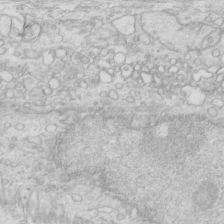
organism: Mouse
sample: Multiciliated cells